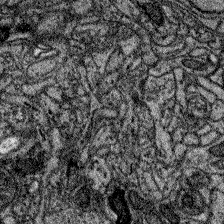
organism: Zebrafish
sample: Larval olfactory bulb